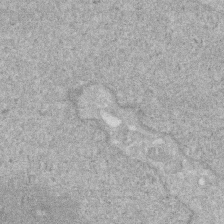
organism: Human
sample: HIV infected U937 cells